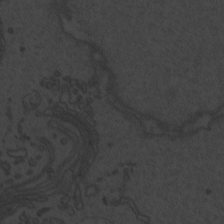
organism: Zebrafish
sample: Macrophage infected with Toxoplasma gondii